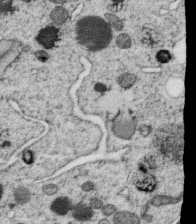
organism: C. elegans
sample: C. elegans oocyte; sperm cells